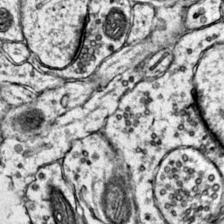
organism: Mouse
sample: Primary visual cortex